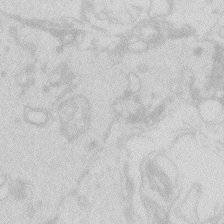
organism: Zebrafish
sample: Macrophage